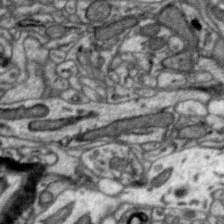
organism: Zebra finch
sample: Brain